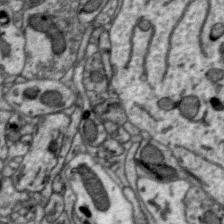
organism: Zebra finch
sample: Brain